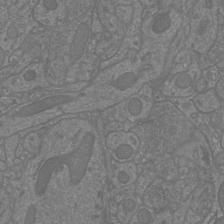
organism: Mouse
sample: Cortical neurons